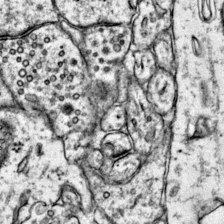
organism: Mouse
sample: Primary visual cortex